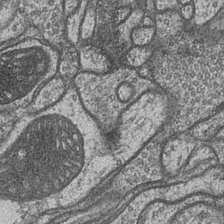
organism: Drosophila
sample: Optic medulla